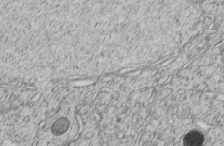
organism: C. elegans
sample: C. elegans embryo early stage